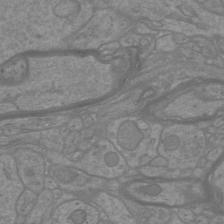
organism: Mouse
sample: Cortical neurons